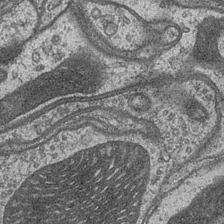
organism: Drosophila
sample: Optic medulla